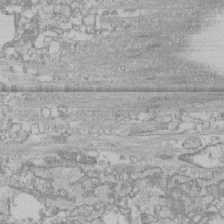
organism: Human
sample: CRL-1474